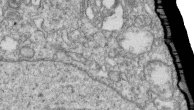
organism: Human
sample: HeLa cell HIV synapse